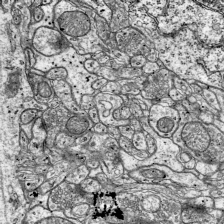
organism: Mouse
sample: Visual Cortex